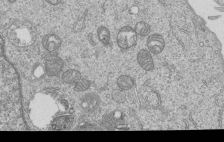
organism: Human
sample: MDA-MB-231 cells